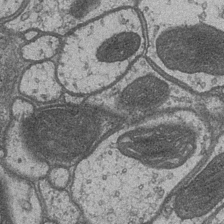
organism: Drosophila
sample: Optic medulla